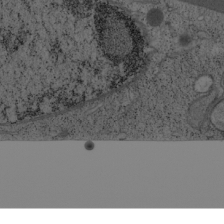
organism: African green monkey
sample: COS-7 cells